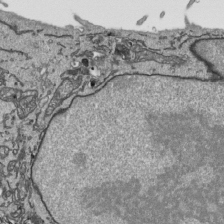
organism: Human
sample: Mitochondria in HCT116 cells